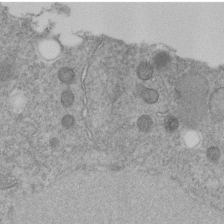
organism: C. elegans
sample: C. elegans embryo early stage